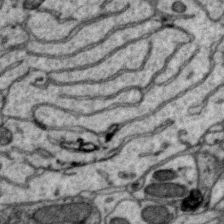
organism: Zebra finch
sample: Brain